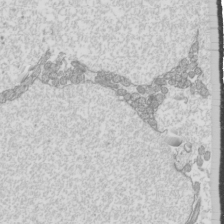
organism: Mouse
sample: Cilia; mouse epididymis